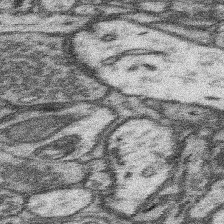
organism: Mouse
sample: Somatosensory cortex neuropil